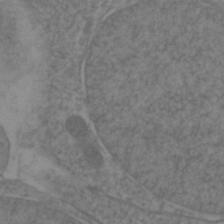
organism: Zebrafish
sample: Zebrafish embryo